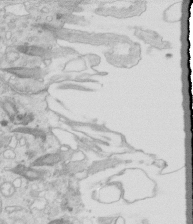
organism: Mouse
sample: Multiciliated cells